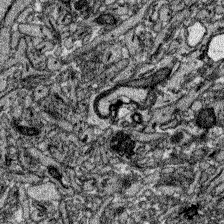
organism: Zebrafish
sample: Larval olfactory bulb